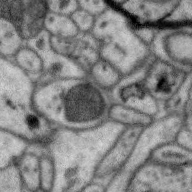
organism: Zebra finch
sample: Brain